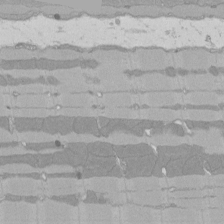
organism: Rat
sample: Left ventricle